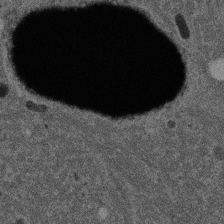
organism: Mouse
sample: Dividing mouse embryo 1 cell stage